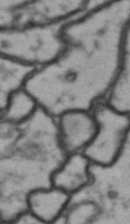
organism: Drosophila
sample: Brain